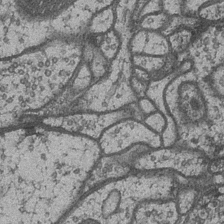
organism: Drosophila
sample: Optic medulla